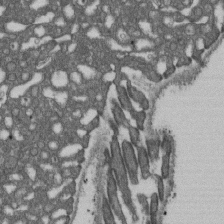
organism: Drosophila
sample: Nephrocyte